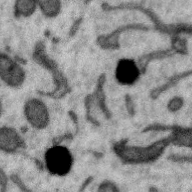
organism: Zebra finch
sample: Brain